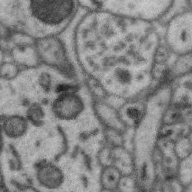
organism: Zebra finch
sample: Brain